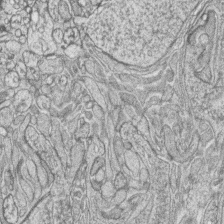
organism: Zebrafish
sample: synaptic ribbons in rod cells and cone cells